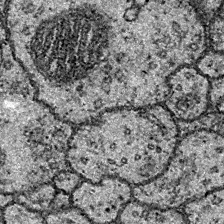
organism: Drosophila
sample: Ventral Nerve Cord